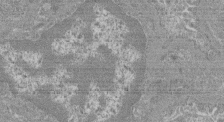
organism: Mouse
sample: Glomerulus